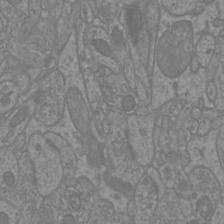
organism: Mouse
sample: Cortical neurons